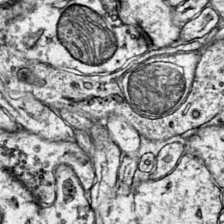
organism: Mouse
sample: Primary visual cortex